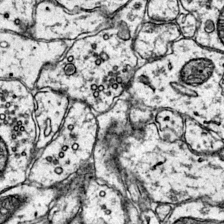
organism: Mouse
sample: Primary visual cortex